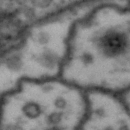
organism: Drosophila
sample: Brain